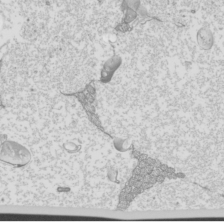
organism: Mouse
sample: Cilia; mouse epididymis